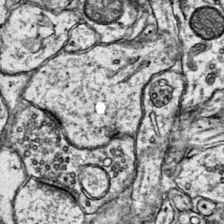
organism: Mouse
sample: Primary visual cortex